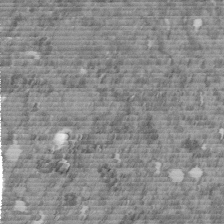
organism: C. elegans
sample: C. elegans embryo early stage